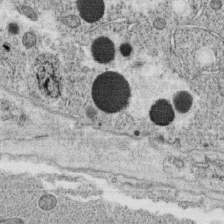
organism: C. elegans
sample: C. elegans oocyte; sperm cells